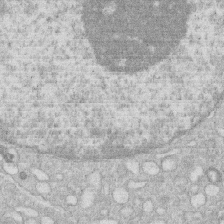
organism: Human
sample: Macrophage cells